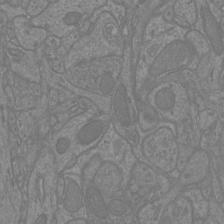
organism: Mouse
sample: Cortical neurons